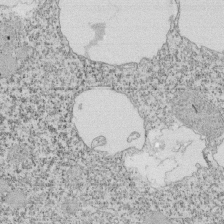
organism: Tetrahymena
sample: Cilia in tetrahymena